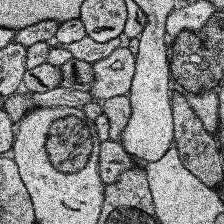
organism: Human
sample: Temporal Lobe